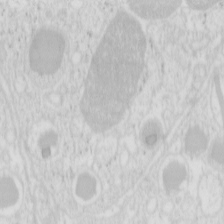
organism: Mouse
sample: Pancreas